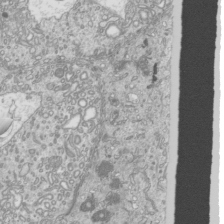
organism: Mouse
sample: Cilia; mouse epididymis